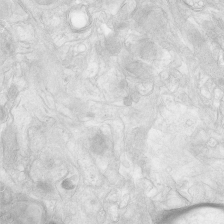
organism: Human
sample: Neocortex